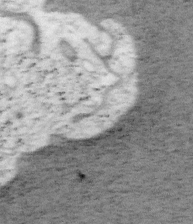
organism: Mouse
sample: OT-I killer T cells with ID8 ovarian cancer cells